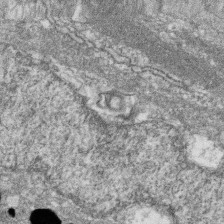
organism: Zebrafish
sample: Cilia; retinal pigment epithelium